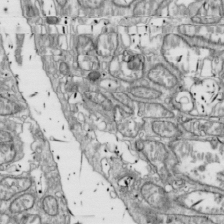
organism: Drosophila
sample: Cell division; meiosis; drosophila spermatocytes